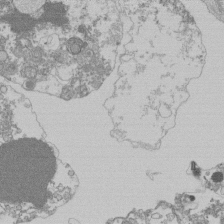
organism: Mouse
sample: Activated Pmel transgenic CD8+ T Cells